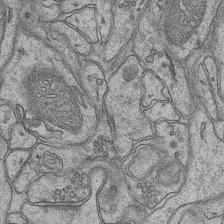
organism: Mouse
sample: CA1 Hippocampus